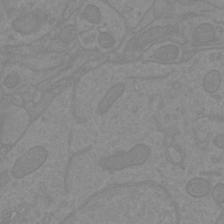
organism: Mouse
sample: Cortical neurons